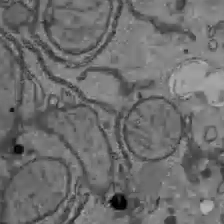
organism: C57BL Mouse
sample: Liver